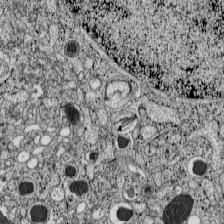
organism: C57BL Mouse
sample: Pancreatic islet